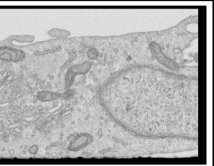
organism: Human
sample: Centriole in RPE cells